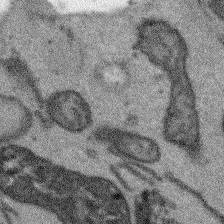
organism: Arabidopsis thaliana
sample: Root tip